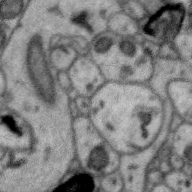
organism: Zebra finch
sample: Brain